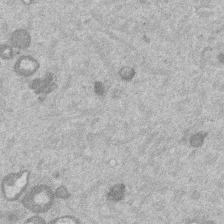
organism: Mouse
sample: Dividing mouse embryo 1 cell stage